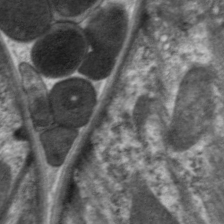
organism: C. elegans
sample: Pharynx